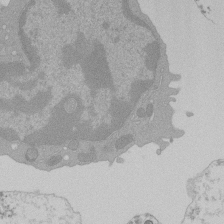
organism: Mouse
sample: Activated Pmel transgenic CD8+ T Cells